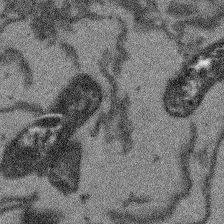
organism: Arabidopsis thaliana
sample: Root tip